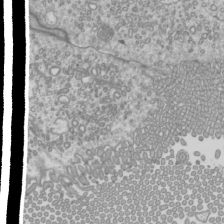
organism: Mouse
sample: Cilia; mouse epididymis